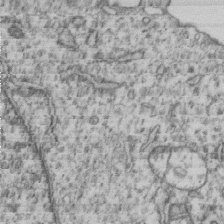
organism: Human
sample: MDA-MB-231 cells